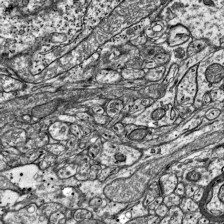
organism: Mouse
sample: Visual Cortex